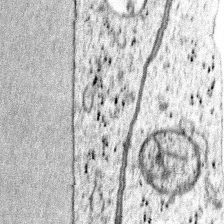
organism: Human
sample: HeLa cells